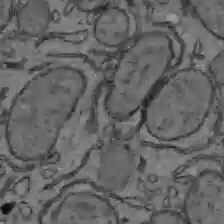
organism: C57BL Mouse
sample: Liver